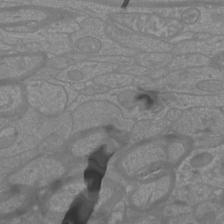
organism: Mouse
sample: Cortical neurons